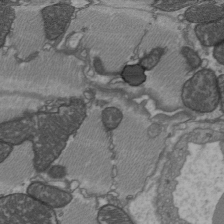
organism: C57BL Mouse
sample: Heart